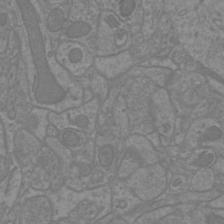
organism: Mouse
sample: Cortical neurons